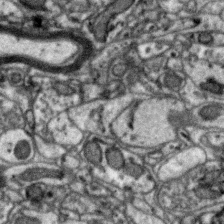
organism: Zebra finch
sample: Brain